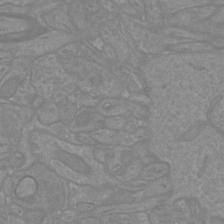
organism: Mouse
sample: Cortical neurons